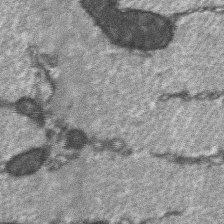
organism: C57BL Mouse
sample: Soleus